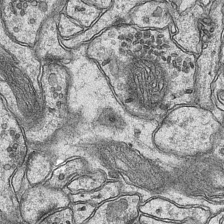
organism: Mouse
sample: CA1 Hippocampus